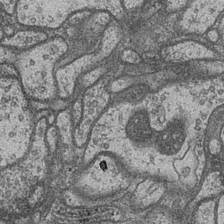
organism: Drosophila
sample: Optic medulla